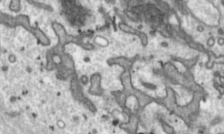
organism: Toxoplasma gondii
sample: Parasites in a vacuole inside a host cell